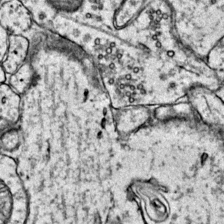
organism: Mouse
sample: Primary visual cortex